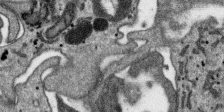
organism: Human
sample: Lung epithelial cells, uninfected (mock) control